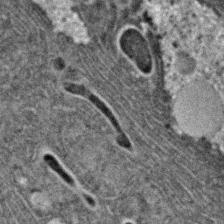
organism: C. elegans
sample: C. elegans embryo